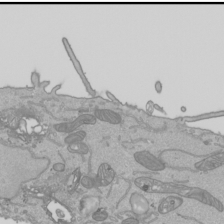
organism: Human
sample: Mitochondria in HCT116 cells